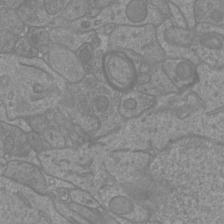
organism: Mouse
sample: Cortical neurons